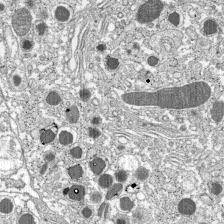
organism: C57BL Mouse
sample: Pancreatic islet